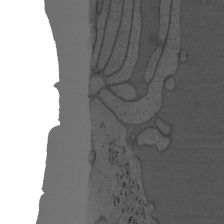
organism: Mouse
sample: OT-I killer T cells with ID8 ovarian cancer cells